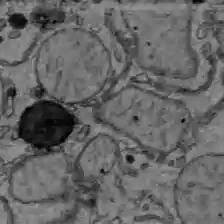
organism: C57BL Mouse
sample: Liver